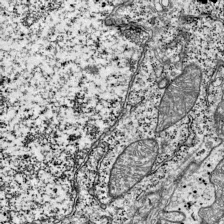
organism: Mouse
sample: Visual Cortex